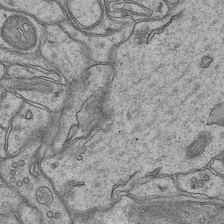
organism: Mouse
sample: CA1 Hippocampus